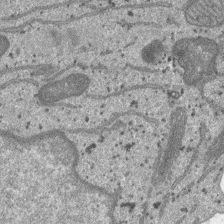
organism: Human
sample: Lung epithelial cells infected with SARS-CoV-2